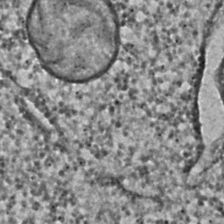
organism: C. elegans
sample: C. elegans embryo